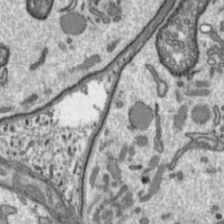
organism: Toxoplasma gondii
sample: Parasites in a vacuole inside a host cell